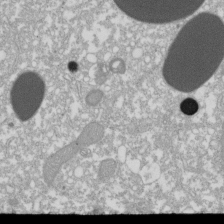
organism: Xenopus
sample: Cilia; centrioles in frog embryo cells